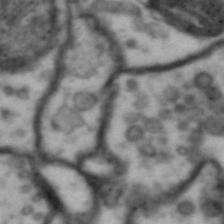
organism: Drosophila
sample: Brain